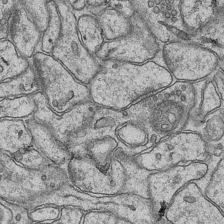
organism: Mouse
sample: CA1 Hippocampus